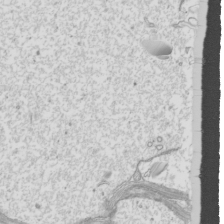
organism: Mouse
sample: Cilia; mouse epididymis